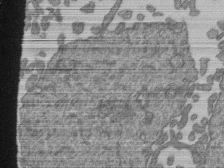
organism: Human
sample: Retinal organoid Rod and Cone cells